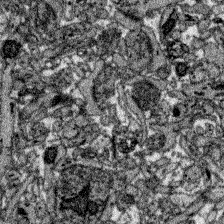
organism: Zebrafish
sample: Larval olfactory bulb